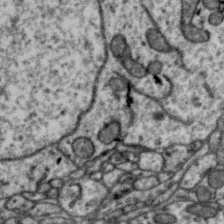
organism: Zebra finch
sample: Brain